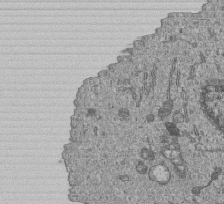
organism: Human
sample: MDA-MB-231 cells